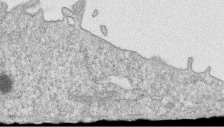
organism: Human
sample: HeLa cell HIV synapse